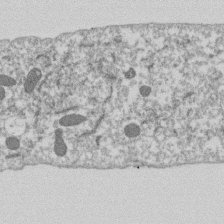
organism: Dictyostelium discoideum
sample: Dictyostelium multivesicular bodies